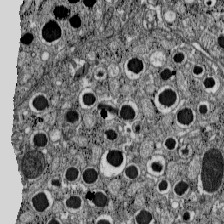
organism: C57BL Mouse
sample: Pancreatic islet